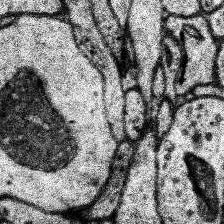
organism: Human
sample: Temporal Lobe